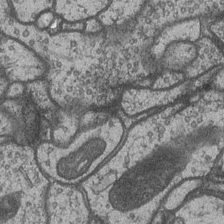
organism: Drosophila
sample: Optic medulla